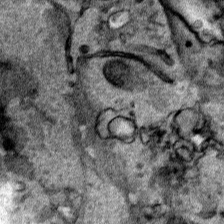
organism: Human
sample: Mitochondria in HCT116 cells